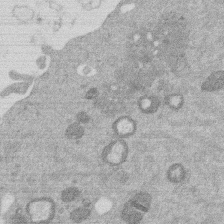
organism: Mouse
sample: Dividing mouse embryo 1 cell stage